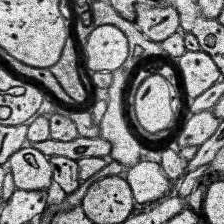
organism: Human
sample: Temporal Lobe